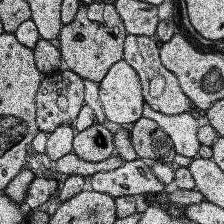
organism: Human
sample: Temporal Lobe